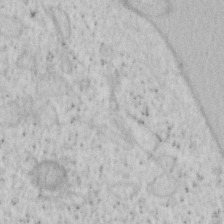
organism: Human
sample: HeLa cells